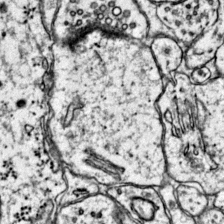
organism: Mouse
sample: Primary visual cortex